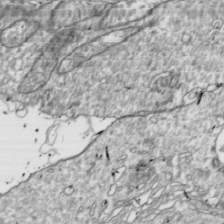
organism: Drosophila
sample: Cell division; meiosis; drosophila spermatocytes